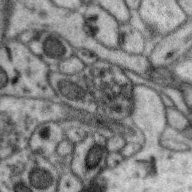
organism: Zebra finch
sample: Brain